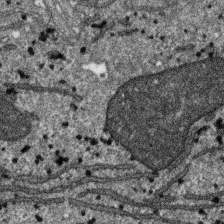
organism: Human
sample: Lung epithelial cells infected with SARS-CoV-2